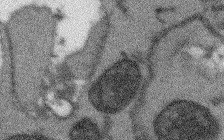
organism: Arabidopsis thaliana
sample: Root tip